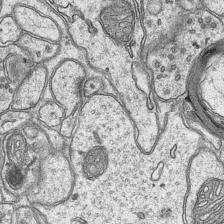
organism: Mouse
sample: CA1 Hippocampus